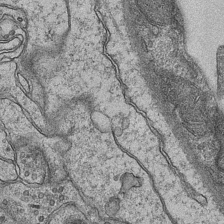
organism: Mouse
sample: CA1 Hippocampus